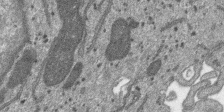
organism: Human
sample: Lung epithelial cells infected with SARS-CoV-2